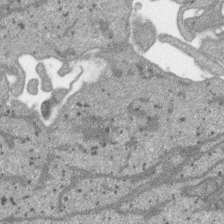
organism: Human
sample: Lung epithelial cells infected with SARS-CoV-2